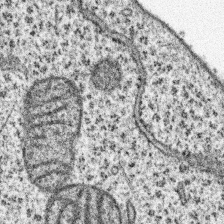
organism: Human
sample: HeLa cells